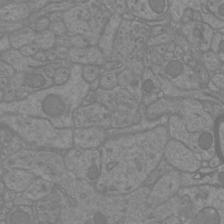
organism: Mouse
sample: Cortical neurons